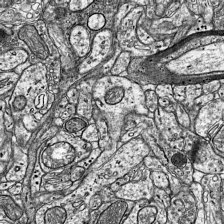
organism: Mouse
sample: Visual Cortex